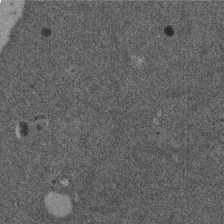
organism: Mouse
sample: Dividing mouse embryo 1 cell stage